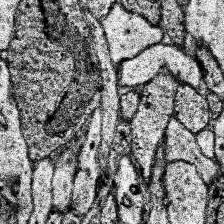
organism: Human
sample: Temporal Lobe